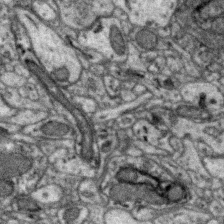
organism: Zebra finch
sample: Brain